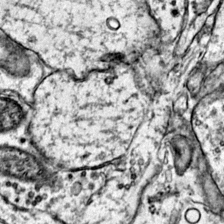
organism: Mouse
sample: Primary visual cortex